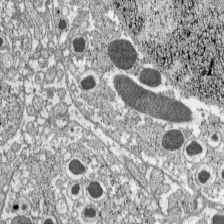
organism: C57BL Mouse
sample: Pancreatic islet